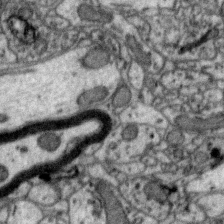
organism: Zebra finch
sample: Brain